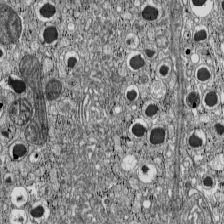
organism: C57BL Mouse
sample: Pancreatic islet